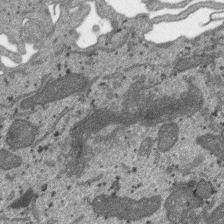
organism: Human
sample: Lung epithelial cells infected with SARS-CoV-2